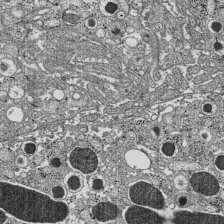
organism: C57BL Mouse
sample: Pancreatic islet